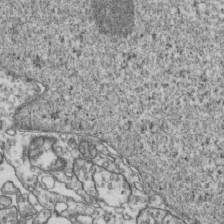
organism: Human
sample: Activated Jurkat CD4+ T cells